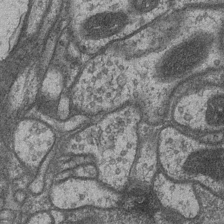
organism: Drosophila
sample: Optic medulla